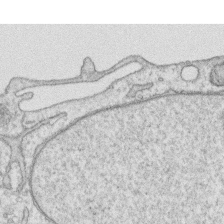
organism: Human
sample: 1205lu cells